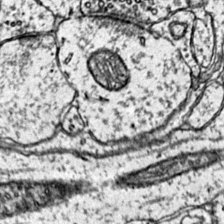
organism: Mouse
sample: Primary visual cortex